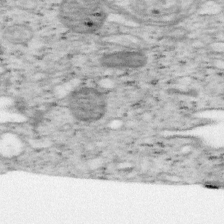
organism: Mouse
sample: OT-I killer T cells with ID8 ovarian cancer cells